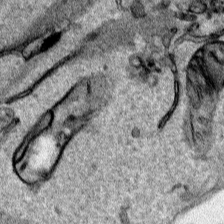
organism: Human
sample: Mitochondria in HCT116 cells